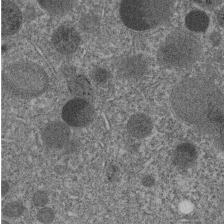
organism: C. elegans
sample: C. elegans embryo early stage